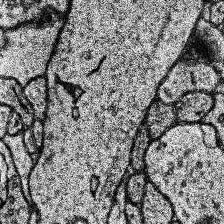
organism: Human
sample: Temporal Lobe